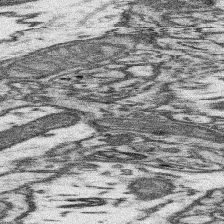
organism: Mouse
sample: Somatosensory cortex neuropil